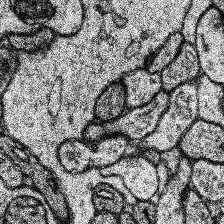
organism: Human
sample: Temporal Lobe